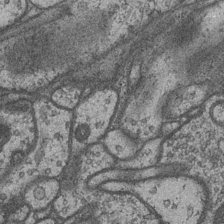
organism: Drosophila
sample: Optic medulla